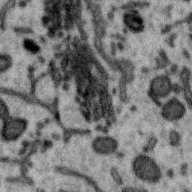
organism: Zebra finch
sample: Brain